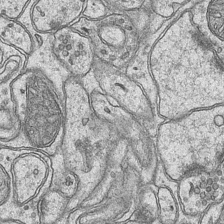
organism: Mouse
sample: CA1 Hippocampus